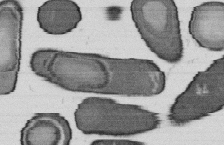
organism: B. subtilis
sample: Bacterial spore